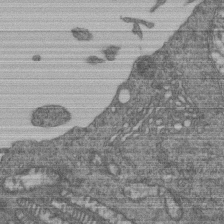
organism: Human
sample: Retinal organoid Rod and Cone cells